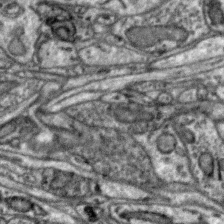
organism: Zebra finch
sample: Brain